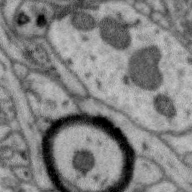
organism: Zebra finch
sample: Brain